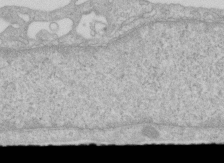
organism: Human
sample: Centriole in RPE cells